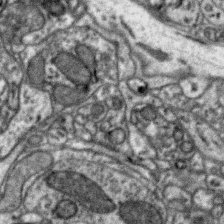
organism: Zebra finch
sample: Brain